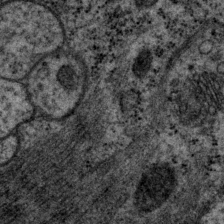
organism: P. pacificus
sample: Pharynx